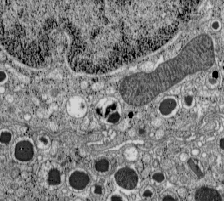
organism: C57BL Mouse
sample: Pancreatic islet